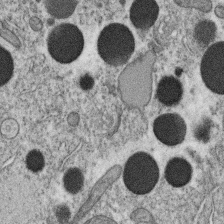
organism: C. elegans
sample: C. elegans oocyte; sperm cells